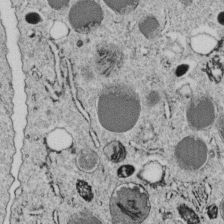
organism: C. elegans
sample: C. elegans embryo early stage